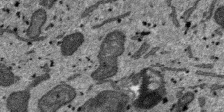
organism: Human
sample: Lung epithelial cells, uninfected (mock) control